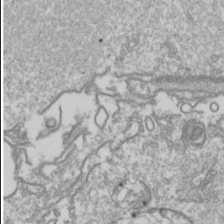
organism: Drosophila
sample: Cell division; meiosis; drosophila spermatocytes